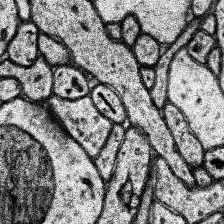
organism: Human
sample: Temporal Lobe